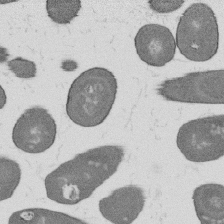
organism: B. subtilis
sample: Bacterial spore